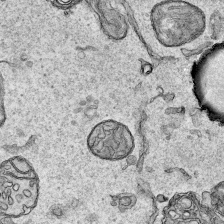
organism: Human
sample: Mitochondria in HCT116 cells